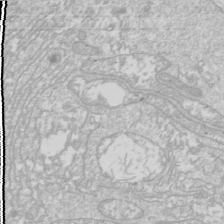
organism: Drosophila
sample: Cell division; meiosis; drosophila spermatocytes